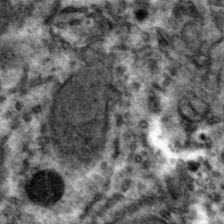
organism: Mouse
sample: Mouse hepatocytes